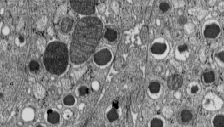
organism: C57BL Mouse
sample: Pancreatic islet